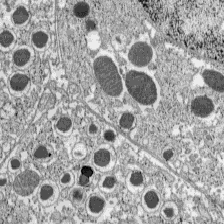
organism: C57BL Mouse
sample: Pancreatic islet